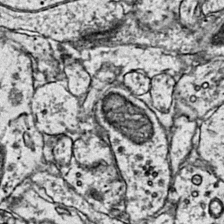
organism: Mouse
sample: Primary visual cortex